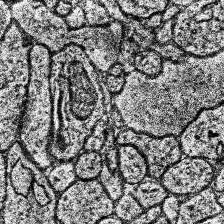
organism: Human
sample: Temporal Lobe